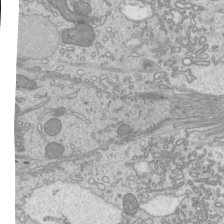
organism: Mouse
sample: Cilia; mouse epididymis